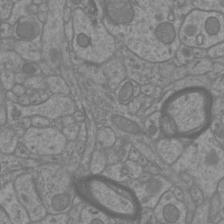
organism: Mouse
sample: Cortical neurons